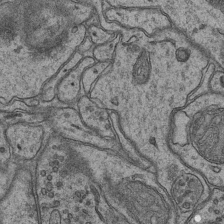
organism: Mouse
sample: CA1 Hippocampus